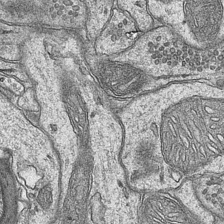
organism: Mouse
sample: CA1 Hippocampus